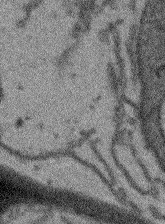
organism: Arabidopsis thaliana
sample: Root tip